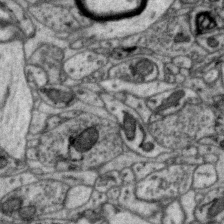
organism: Zebra finch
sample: Brain